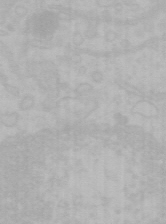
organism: Mouse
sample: Choroid plexus